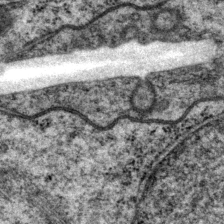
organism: P. pacificus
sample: Pharynx